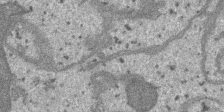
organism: Human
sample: Lung epithelial cells infected with SARS-CoV-2